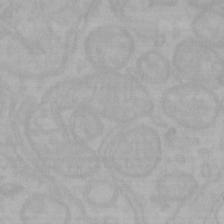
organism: Mouse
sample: Choroid plexus